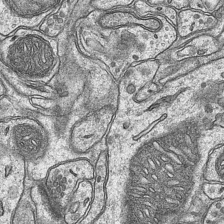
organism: Mouse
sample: CA1 Hippocampus